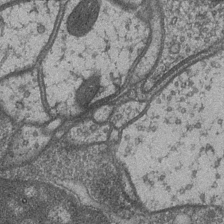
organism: Drosophila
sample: Optic medulla